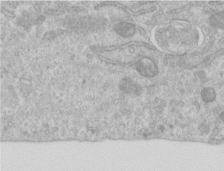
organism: Human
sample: Centriole in RPE cells